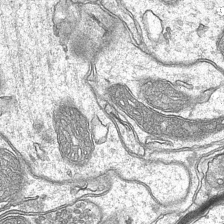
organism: Mouse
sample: CA1 Hippocampus